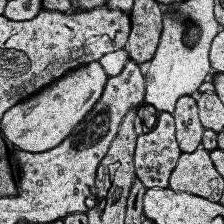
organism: Human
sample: Temporal Lobe